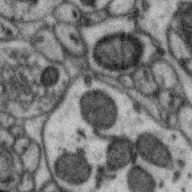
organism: Zebra finch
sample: Brain